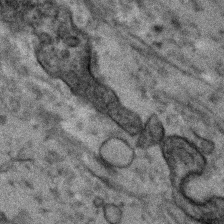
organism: Human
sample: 1205lu cells